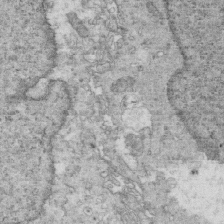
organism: Mouse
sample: Multiciliated cells